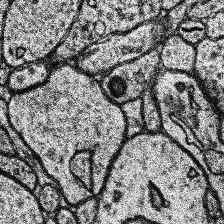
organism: Human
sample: Temporal Lobe